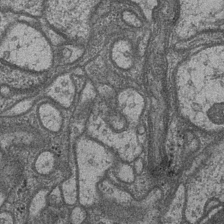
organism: Drosophila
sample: Optic medulla